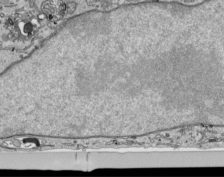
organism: Human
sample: Mitochondria in HCT116 cells